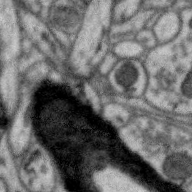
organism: Zebra finch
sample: Brain